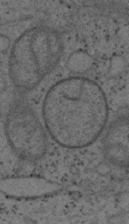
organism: Human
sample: HeLa cells